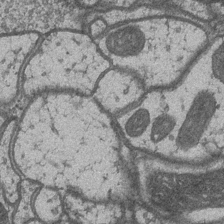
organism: Drosophila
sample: Optic medulla